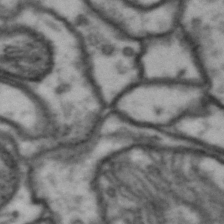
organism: Drosophila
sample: Brain